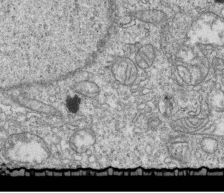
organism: Human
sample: HeLa cell HIV synapse